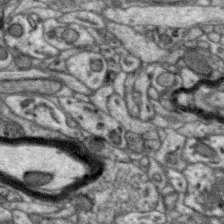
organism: Zebra finch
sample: Brain